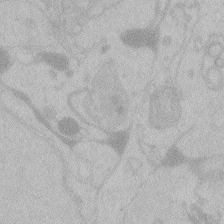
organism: Zebrafish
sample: Macrophage infected with Toxoplasma gondii